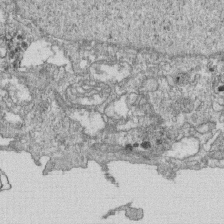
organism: Human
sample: HeLa cell HIV synapse